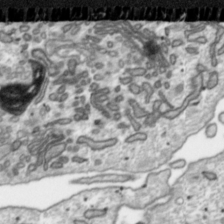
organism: Toxoplasma gondii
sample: Parasites in a vacuole inside a host cell